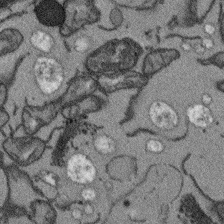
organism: Arabidopsis thaliana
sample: Root tip